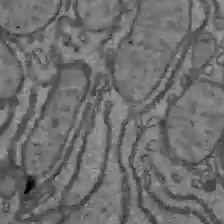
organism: C57BL Mouse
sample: Liver